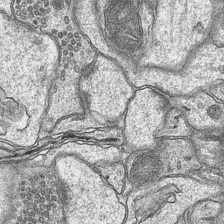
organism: Mouse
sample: CA1 Hippocampus